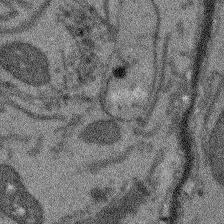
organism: Arabidopsis thaliana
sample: Root tip